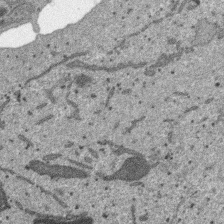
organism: Human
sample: Lung epithelial cells infected with SARS-CoV-2